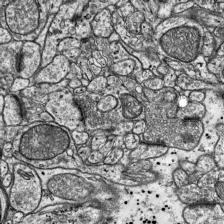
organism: Mouse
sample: Visual Cortex